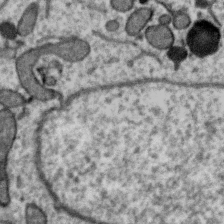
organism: Zebra finch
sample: Brain